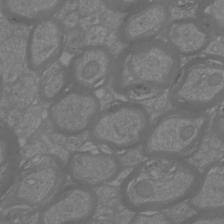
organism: Mouse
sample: Cortical neurons